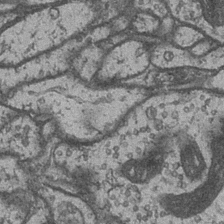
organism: Drosophila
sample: Optic medulla